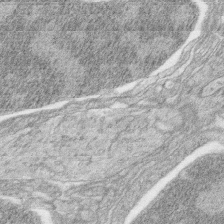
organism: Zebrafish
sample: synaptic ribbons in rod cells and cone cells